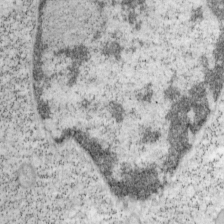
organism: Mouse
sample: OT-I killer T cells with ID8 ovarian cancer cells